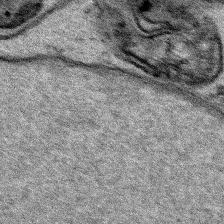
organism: Human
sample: Mitochondria in HCT116 cells